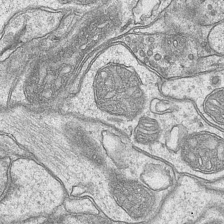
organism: Mouse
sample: CA1 Hippocampus